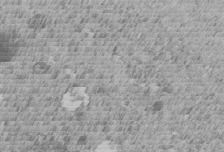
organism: C. elegans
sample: C. elegans embryo early stage